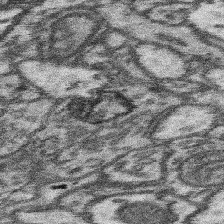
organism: Mouse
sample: Somatosensory cortex neuropil